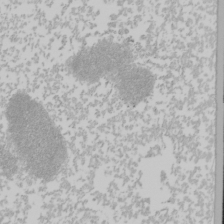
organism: Mouse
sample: Cancer cell death in ED-1 cells